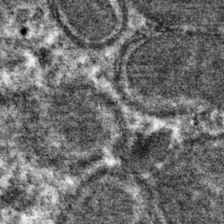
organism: Mouse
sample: Mouse hepatocytes